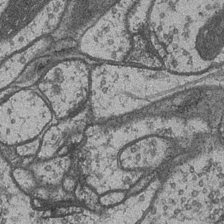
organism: Drosophila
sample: Optic medulla